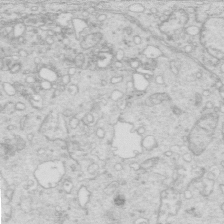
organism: Mouse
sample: Multiciliated cells